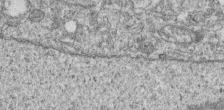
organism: Human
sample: HeLa cell HIV synapse